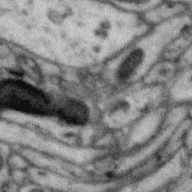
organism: Zebra finch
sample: Brain